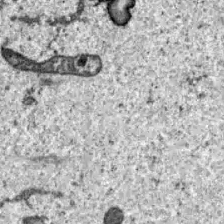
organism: Human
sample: HeLa cells